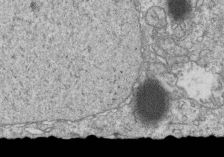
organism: Human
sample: HeLa cell HIV synapse